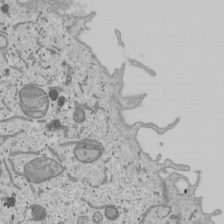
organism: Human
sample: Mitochondria in U2OS cells